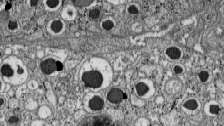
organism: C57BL Mouse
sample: Pancreatic islet